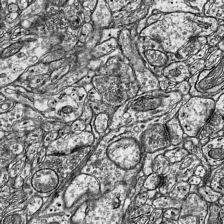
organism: Mouse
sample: Visual Cortex